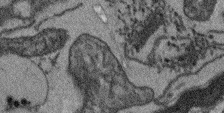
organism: Arabidopsis thaliana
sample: Root tip